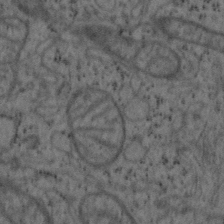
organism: Human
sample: HeLa cells